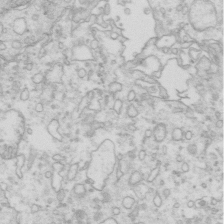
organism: Mouse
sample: Multiciliated cells